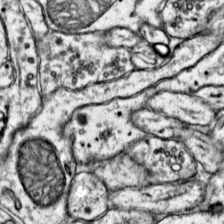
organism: Mouse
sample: Primary visual cortex